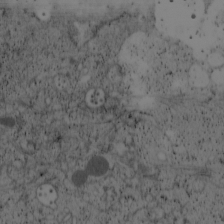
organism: African green monkey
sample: COS-7 cells